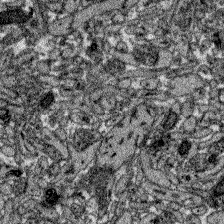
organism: Zebrafish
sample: Larval olfactory bulb